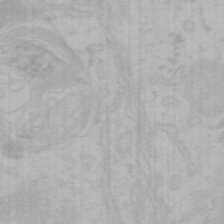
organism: Mouse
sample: Choroid plexus